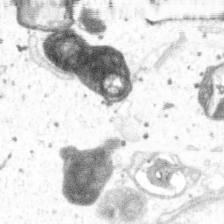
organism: Human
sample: HeLa cells